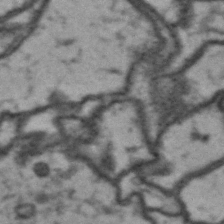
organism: Drosophila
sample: Brain